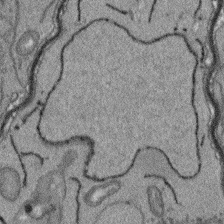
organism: Arabidopsis thaliana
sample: Root tip